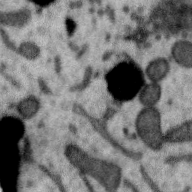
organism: Zebra finch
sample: Brain